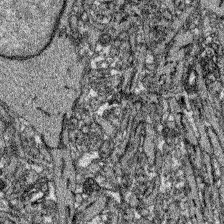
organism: Zebrafish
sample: Larval olfactory bulb